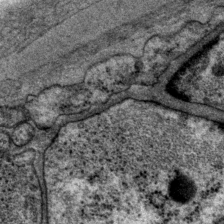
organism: P. pacificus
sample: Pharynx